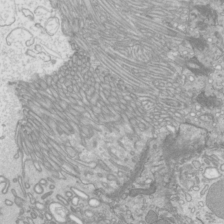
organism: Mouse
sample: Cilia; mouse epididymis